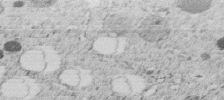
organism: C. elegans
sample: C. elegans embryo early stage